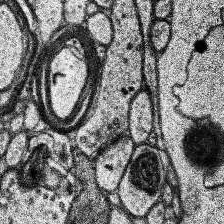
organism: Human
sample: Temporal Lobe